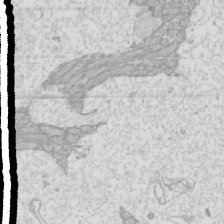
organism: Mouse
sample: Cilia; mouse epididymis